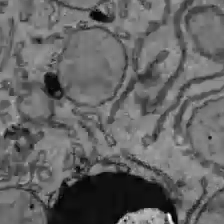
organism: C57BL Mouse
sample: Liver